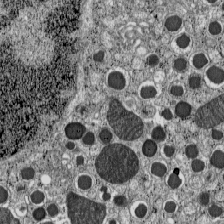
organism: C57BL Mouse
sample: Pancreatic islet